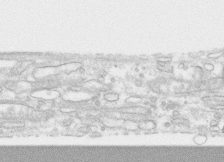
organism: Human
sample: CRL-1474